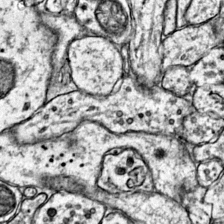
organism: Mouse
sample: Primary visual cortex